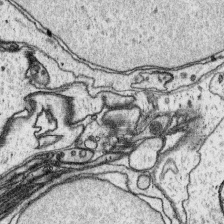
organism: Platynereis dumerilii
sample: Parapodia